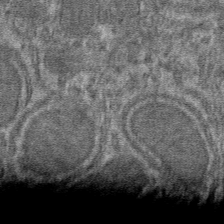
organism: Mouse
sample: Mouse hepatocytes